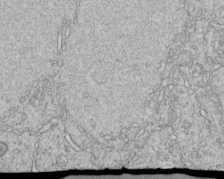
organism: C. elegans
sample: C. elegans embryo early stage